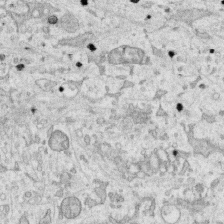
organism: Human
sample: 1205lu cells